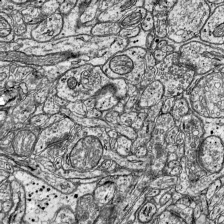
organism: Mouse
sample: Visual Cortex